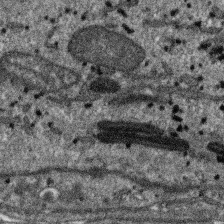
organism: Human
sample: Lung epithelial cells infected with SARS-CoV-2